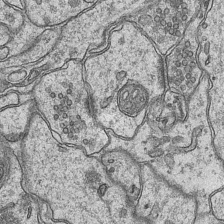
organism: Mouse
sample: CA1 Hippocampus